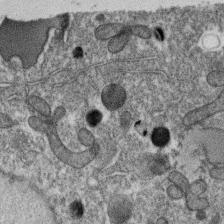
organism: C. elegans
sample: C. elegans oocyte; sperm cells